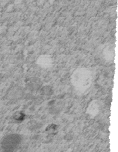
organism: C. elegans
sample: C. elegans embryo early stage